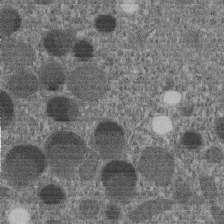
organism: C. elegans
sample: C. elegans embryo early stage